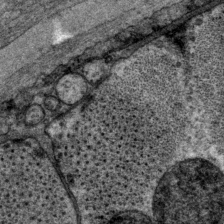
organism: P. pacificus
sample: Pharynx